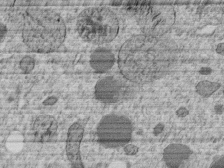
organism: C. elegans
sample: C. elegans embryo early stage